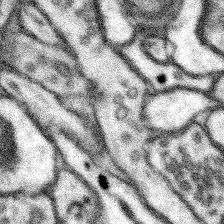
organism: Mouse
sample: Somatosensory cortex neuropil